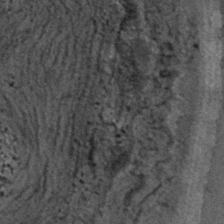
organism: C. elegans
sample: C. elegans embryo